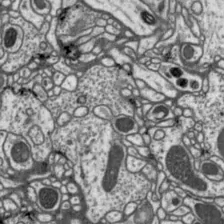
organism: Drosophila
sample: Protocerebral bridge